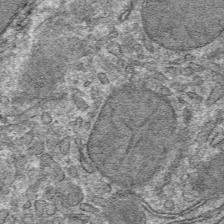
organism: Mouse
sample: Mouse hepatocytes